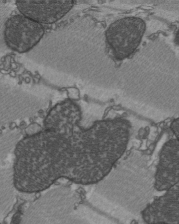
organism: C57BL Mouse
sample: Heart